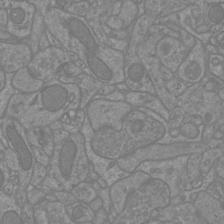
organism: Mouse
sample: Cortical neurons